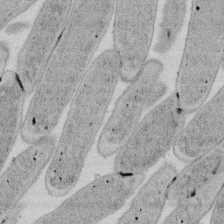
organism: E. coli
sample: Bacterial nucleoid